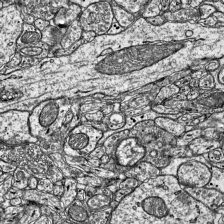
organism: Mouse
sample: Visual Cortex